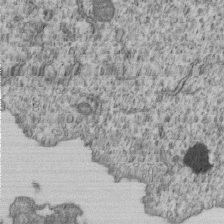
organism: Human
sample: MDA-MB-231 cells